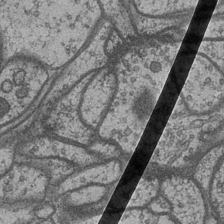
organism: Drosophila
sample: Optic medulla